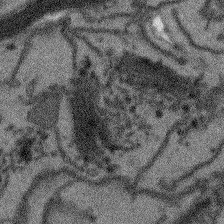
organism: Arabidopsis thaliana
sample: Root tip